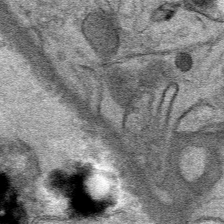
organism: Mouse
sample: Mouse Salivary gland